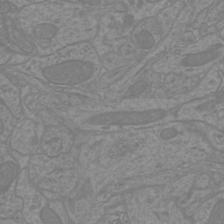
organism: Mouse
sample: Cortical neurons